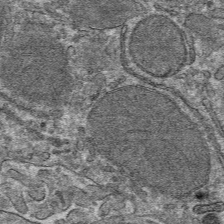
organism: Mouse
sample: Mouse hepatocytes